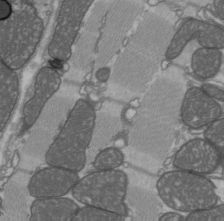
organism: C57BL Mouse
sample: Heart